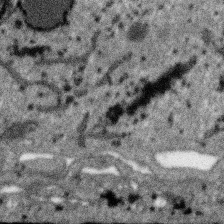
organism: Human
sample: Lung epithelial cells infected with SARS-CoV-2